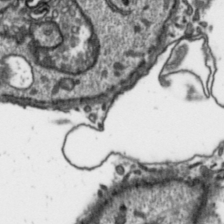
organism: Toxoplasma gondii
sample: Parasites in a vacuole inside a host cell